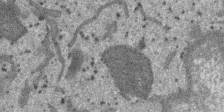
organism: Human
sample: Lung epithelial cells infected with SARS-CoV-2